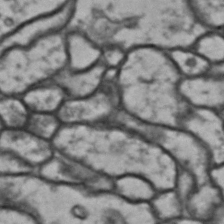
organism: Drosophila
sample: Brain